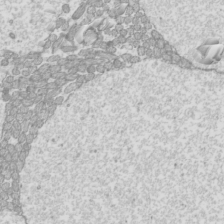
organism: Mouse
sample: Cilia; mouse epididymis